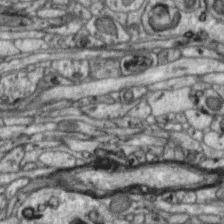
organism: Zebra finch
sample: Brain